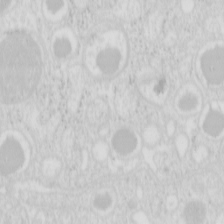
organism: Mouse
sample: Pancreas